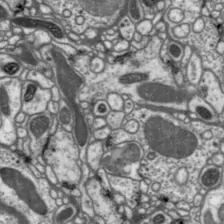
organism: Drosophila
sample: Protocerebral bridge